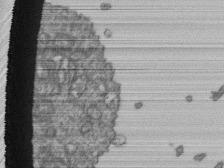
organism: Human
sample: Retinal organoid Rod and Cone cells